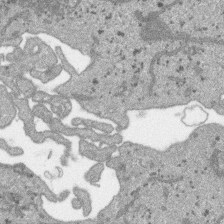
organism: Human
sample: Lung epithelial cells infected with SARS-CoV-2